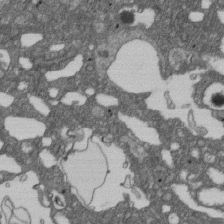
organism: Drosophila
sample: Nephrocyte